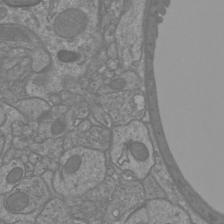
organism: Mouse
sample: Cortical neurons